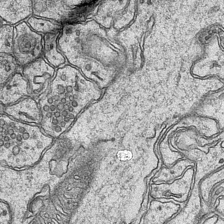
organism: Mouse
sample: CA1 Hippocampus